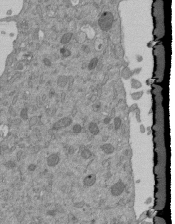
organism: Mouse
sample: ED-1 cell nuclei; centrioles